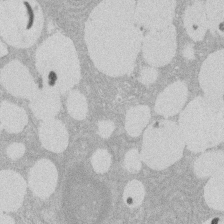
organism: Rat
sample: Salivary granule